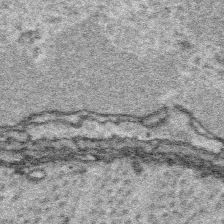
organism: Platynereis dumerilii